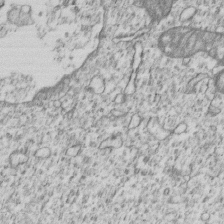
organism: Human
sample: MDA-MB-231 cells